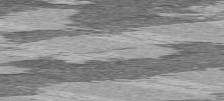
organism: C57BL Mouse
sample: Heart